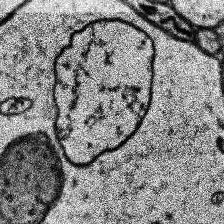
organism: Human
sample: Temporal Lobe